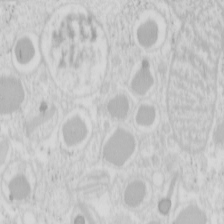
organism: Mouse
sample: Pancreas